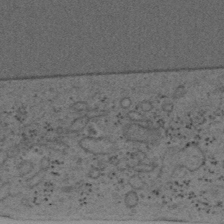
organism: Human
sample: HeLa cells